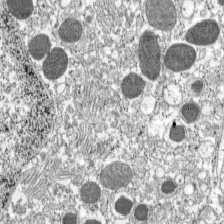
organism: C57BL Mouse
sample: Pancreatic islet